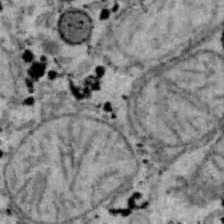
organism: Mouse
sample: Liver from an obese (ob/ob) mouse